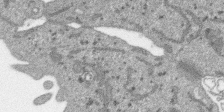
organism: Human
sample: Lung epithelial cells infected with SARS-CoV-2